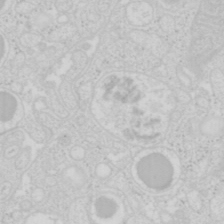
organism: Mouse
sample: Pancreas